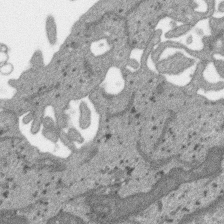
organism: Human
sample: Lung epithelial cells infected with SARS-CoV-2